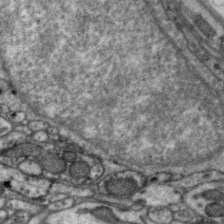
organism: Zebra finch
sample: Brain